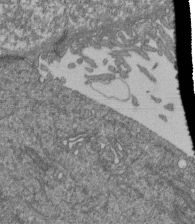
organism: Human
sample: Retinal organoid Rod and Cone cells